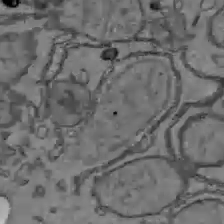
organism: C57BL Mouse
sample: Liver